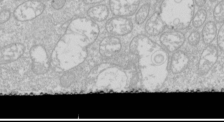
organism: Drosophila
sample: Cell division; meiosis; drosophila spermatocytes